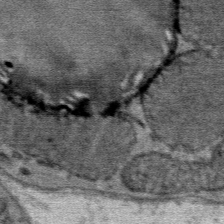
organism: Mouse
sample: Mouse Salivary gland